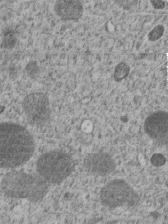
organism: C. elegans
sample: C. elegans embryo early stage